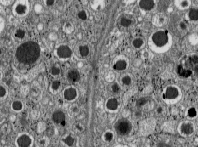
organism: C57BL Mouse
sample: Pancreatic islet